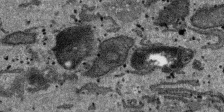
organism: Human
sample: Lung epithelial cells, uninfected (mock) control